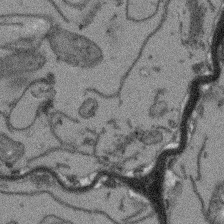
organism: Arabidopsis thaliana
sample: Root tip